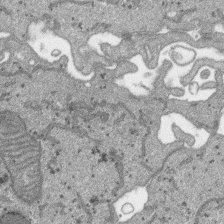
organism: Human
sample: Lung epithelial cells infected with SARS-CoV-2